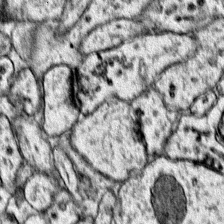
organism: Mouse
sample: Primary visual cortex